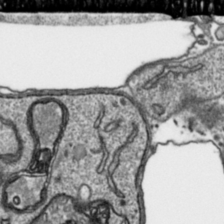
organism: Toxoplasma gondii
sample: Parasites in a vacuole inside a host cell